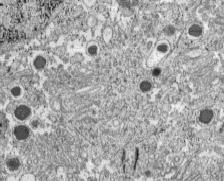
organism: C57BL Mouse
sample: Pancreatic islet